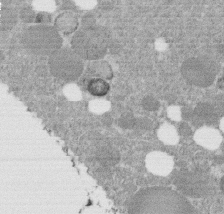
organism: C. elegans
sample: C. elegans embryo early stage